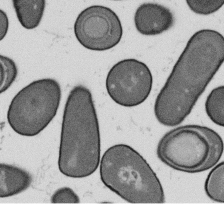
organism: B. subtilis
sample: Bacterial spore